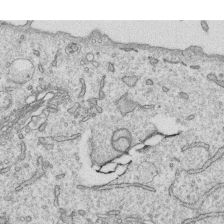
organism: Human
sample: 1205lu cells